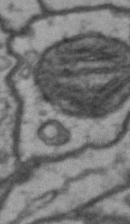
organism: Drosophila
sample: Brain